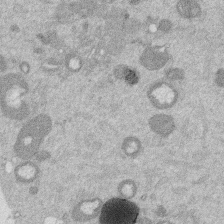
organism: Mouse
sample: Dividing mouse embryo 1 cell stage